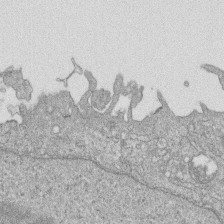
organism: Human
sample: HeLa cell HIV synapse